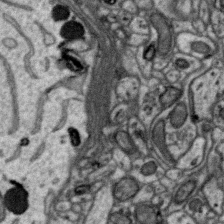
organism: Zebra finch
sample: Brain